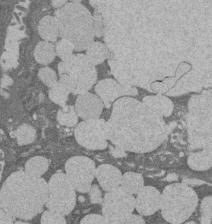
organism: Rat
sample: Salivary granule